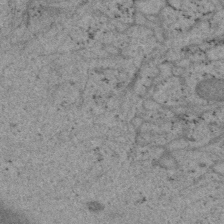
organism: Human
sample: HeLa cells